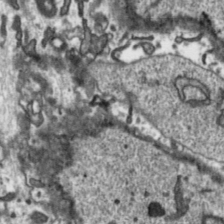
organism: Toxoplasma gondii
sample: Parasites in a vacuole inside a host cell